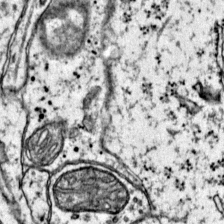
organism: Mouse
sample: Primary visual cortex